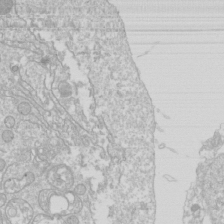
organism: Drosophila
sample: Cell division; meiosis; drosophila spermatocytes